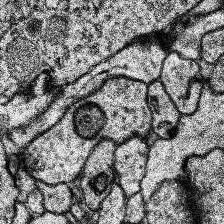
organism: Human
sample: Temporal Lobe